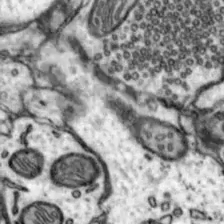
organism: Mouse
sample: Nucleus accumbens